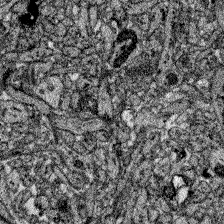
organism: Zebrafish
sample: Larval olfactory bulb